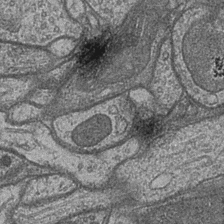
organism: Drosophila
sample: Optic medulla